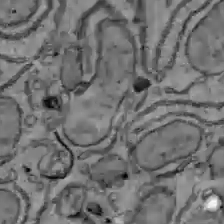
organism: C57BL Mouse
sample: Liver